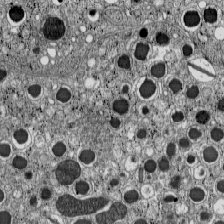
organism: C57BL Mouse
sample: Pancreatic islet